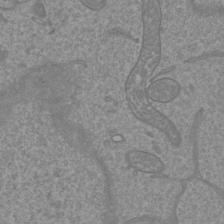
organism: Mouse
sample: Cortical neurons